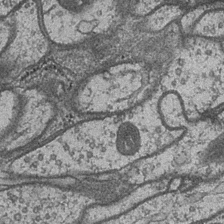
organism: Drosophila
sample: Optic medulla